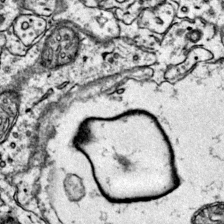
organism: Mouse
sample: Primary visual cortex